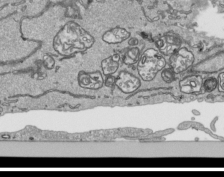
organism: Human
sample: Mitochondria in HCT116 cells